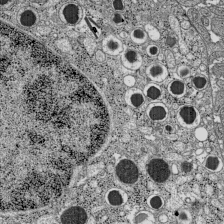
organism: C57BL Mouse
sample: Pancreatic islet